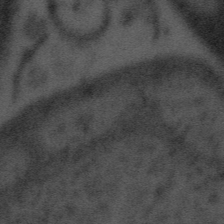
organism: Tuwongella immobilis